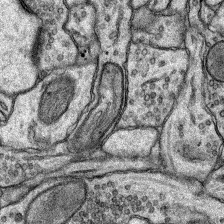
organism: Rat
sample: Hippocampus